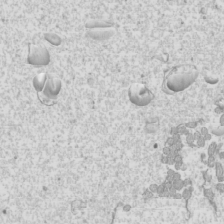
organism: Mouse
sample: Cilia; mouse epididymis